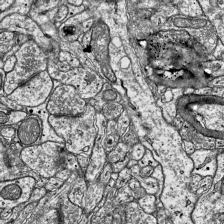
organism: Mouse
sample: Visual Cortex